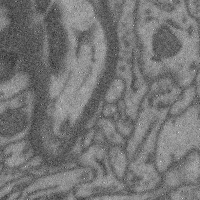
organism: Mouse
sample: Cerebral cortex